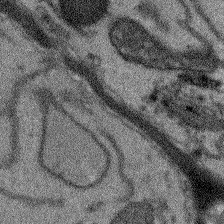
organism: Arabidopsis thaliana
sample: Root tip